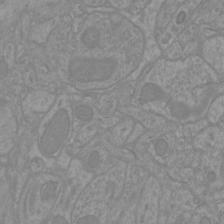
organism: Mouse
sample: Cortical neurons